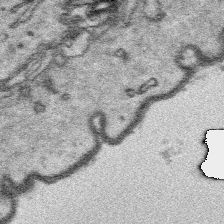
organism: Platynereis dumerilii